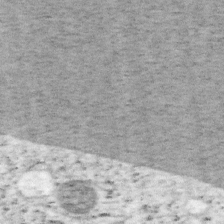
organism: Mouse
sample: OT-I killer T cells with ID8 ovarian cancer cells